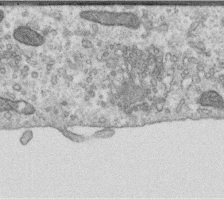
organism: Human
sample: Centriole in RPE cells